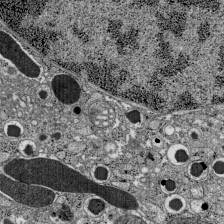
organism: C57BL Mouse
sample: Pancreatic islet